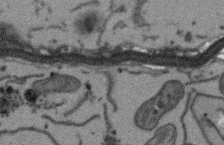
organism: Arabidopsis thaliana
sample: Root tip